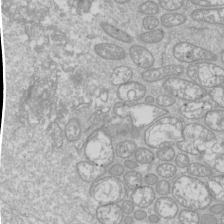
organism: Drosophila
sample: Cell division; meiosis; drosophila spermatocytes